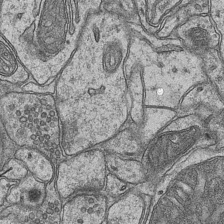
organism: Mouse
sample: CA1 Hippocampus